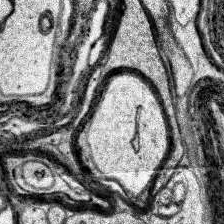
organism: Human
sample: Temporal Lobe